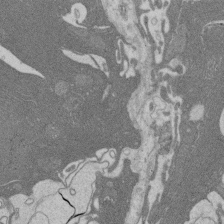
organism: Rat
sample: Salivary granule